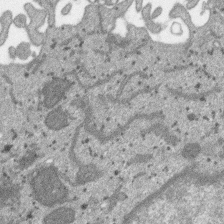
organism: Human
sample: Lung epithelial cells infected with SARS-CoV-2